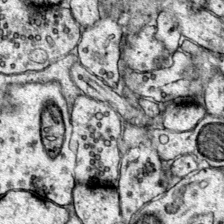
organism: Mouse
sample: Primary visual cortex